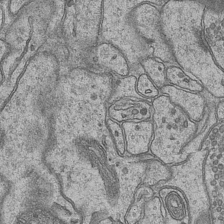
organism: Mouse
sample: CA1 Hippocampus